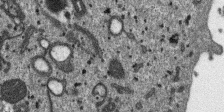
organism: Human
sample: Lung epithelial cells infected with SARS-CoV-2